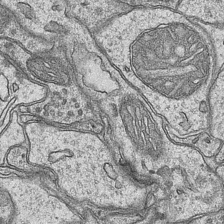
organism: Mouse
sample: CA1 Hippocampus